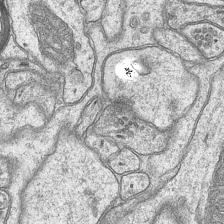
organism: Mouse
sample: CA1 Hippocampus